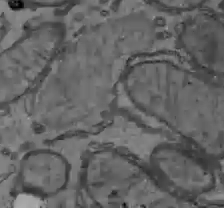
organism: C57BL Mouse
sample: Liver